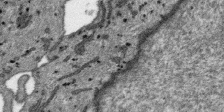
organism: Human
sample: Lung epithelial cells, uninfected (mock) control